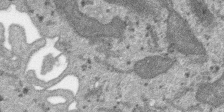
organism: Human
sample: Lung epithelial cells infected with SARS-CoV-2